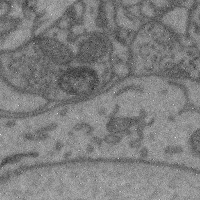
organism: Mouse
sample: Cerebral cortex